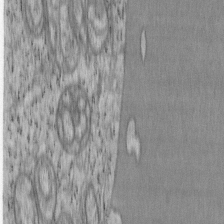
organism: Human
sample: HeLa cells